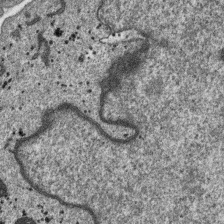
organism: Human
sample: Lung epithelial cells infected with SARS-CoV-2